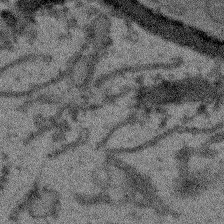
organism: Arabidopsis thaliana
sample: Root tip